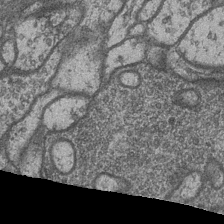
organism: Drosophila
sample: Optic medulla